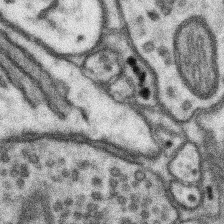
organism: Mouse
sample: Somatosensory cortex neuropil